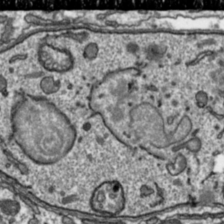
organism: Toxoplasma gondii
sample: Parasites in a vacuole inside a host cell